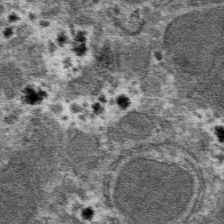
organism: Mouse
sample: Mouse hepatocytes